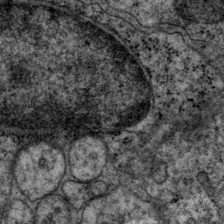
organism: P. pacificus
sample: Pharynx